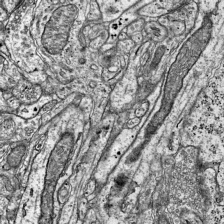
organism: Mouse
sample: Visual Cortex